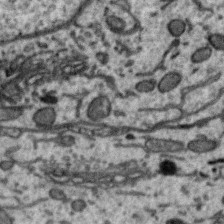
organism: Zebra finch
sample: Brain